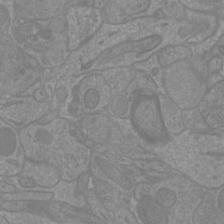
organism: Mouse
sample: Cortical neurons